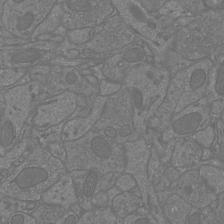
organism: Mouse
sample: Cortical neurons